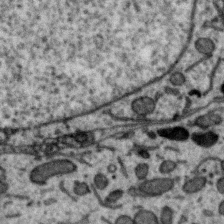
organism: Zebra finch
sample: Brain